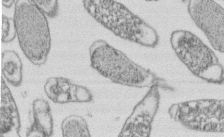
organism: E. coli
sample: Bacterial nucleoid